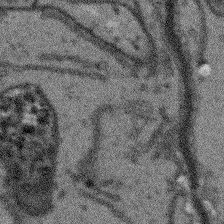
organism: Arabidopsis thaliana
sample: Root tip